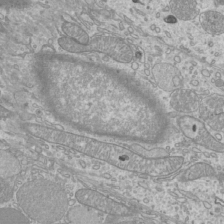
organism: Mouse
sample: Cilia; mouse epididymis